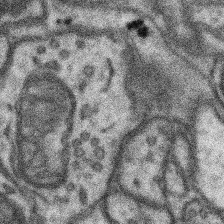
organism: Mouse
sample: Somatosensory cortex neuropil